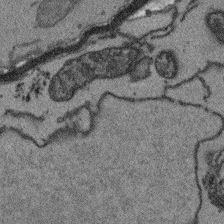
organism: Arabidopsis thaliana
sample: Root tip